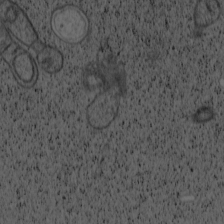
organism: African green monkey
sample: COS-7 cells